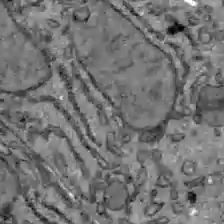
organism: C57BL Mouse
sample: Liver